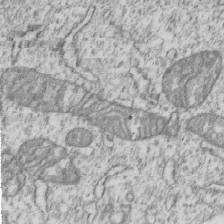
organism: Human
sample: MDA-MB-231 cells